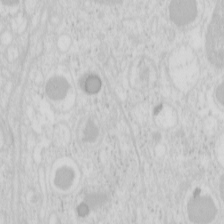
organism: Mouse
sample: Pancreas